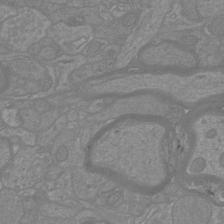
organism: Mouse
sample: Cortical neurons